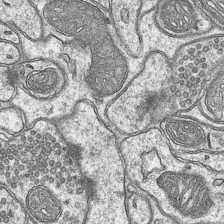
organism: Mouse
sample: CA1 Hippocampus